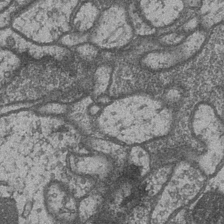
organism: Drosophila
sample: Optic medulla